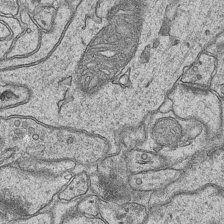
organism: Mouse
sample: CA1 Hippocampus